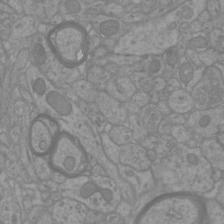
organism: Mouse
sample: Cortical neurons